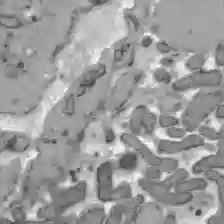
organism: C57BL Mouse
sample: Liver